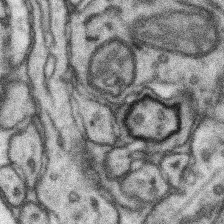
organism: Mouse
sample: Somatosensory cortex neuropil